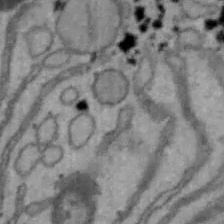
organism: Mouse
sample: Liver